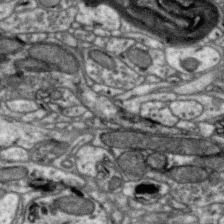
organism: Zebra finch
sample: Brain